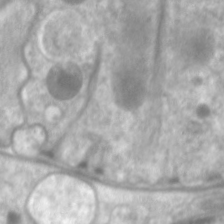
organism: C. elegans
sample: Pharynx